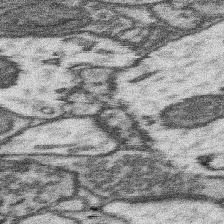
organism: Mouse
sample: Somatosensory cortex neuropil